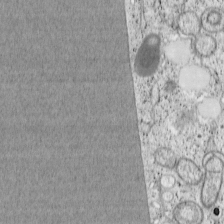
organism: African green monkey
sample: COS-7 cells